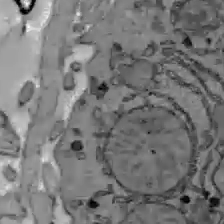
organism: C57BL Mouse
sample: Liver